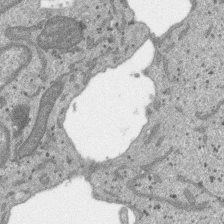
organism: Human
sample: Lung epithelial cells infected with SARS-CoV-2